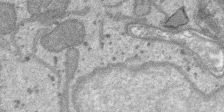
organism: Human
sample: Lung epithelial cells infected with SARS-CoV-2